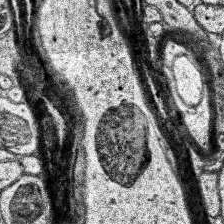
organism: Human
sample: Temporal Lobe